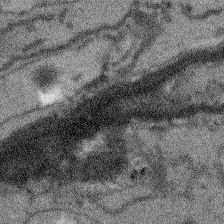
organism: Arabidopsis thaliana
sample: Root tip